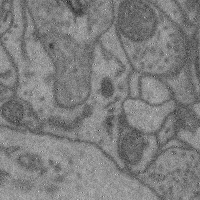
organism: Mouse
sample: Cerebral cortex